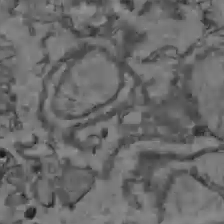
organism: C57BL Mouse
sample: Liver